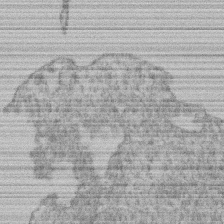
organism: Mouse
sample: T cell stromal cell synapse